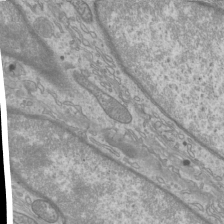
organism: Mouse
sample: Cilia; mouse epididymis